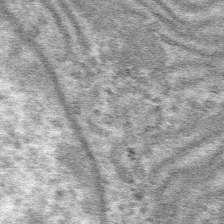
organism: Mouse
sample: Mouse hepatocytes